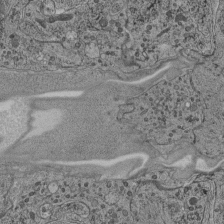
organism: C. elegans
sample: C. elegans pharynx